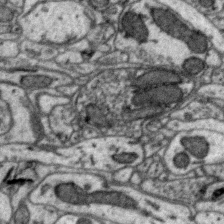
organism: Zebra finch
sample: Brain